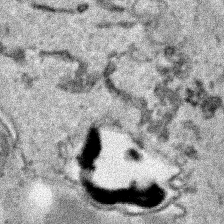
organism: Human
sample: Mitochondria in HCT116 cells